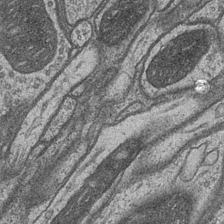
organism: Drosophila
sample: Optic medulla